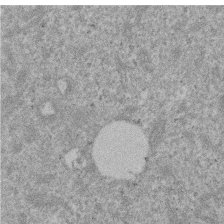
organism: Mouse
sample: Dividing mouse embryo 1 cell stage